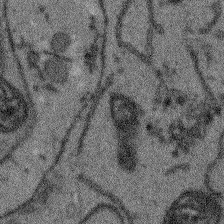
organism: Arabidopsis thaliana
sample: Root tip